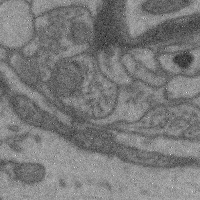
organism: Mouse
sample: Cerebral cortex